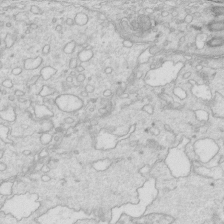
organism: Mouse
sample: Multiciliated cells